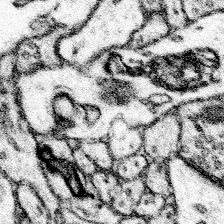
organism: Mouse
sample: Somatosensory cortex neuropil